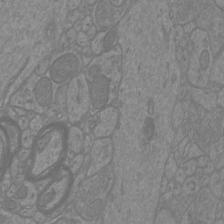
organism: Mouse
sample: Cortical neurons